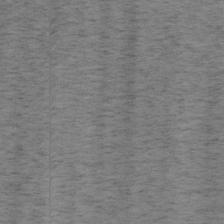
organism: Mouse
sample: OT-I killer T cells with ID8 ovarian cancer cells